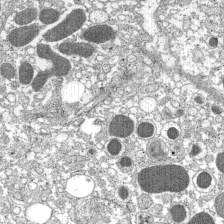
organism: C57BL Mouse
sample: Pancreatic islet